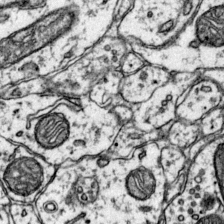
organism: Mouse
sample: Primary visual cortex